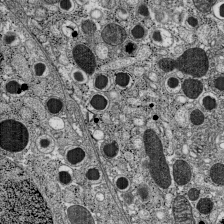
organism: C57BL Mouse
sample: Pancreatic islet